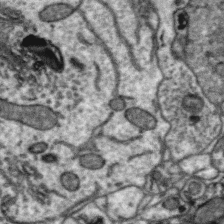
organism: Zebra finch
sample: Brain